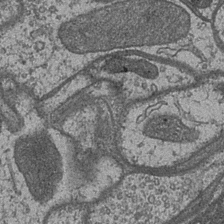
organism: Drosophila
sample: Optic medulla